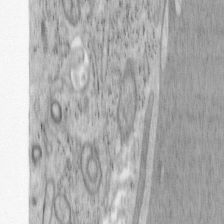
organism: Human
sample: HeLa cells